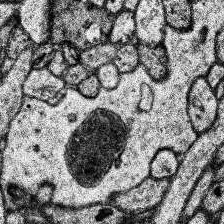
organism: Human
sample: Temporal Lobe